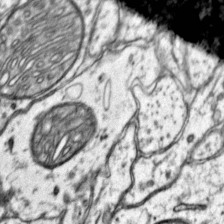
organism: Mouse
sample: Primary visual cortex